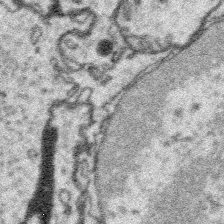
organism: Platynereis dumerilii